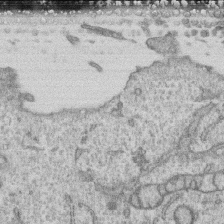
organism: Human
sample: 1205lu cells